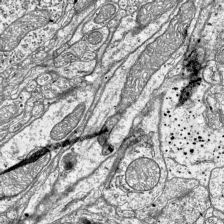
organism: Mouse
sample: Visual Cortex